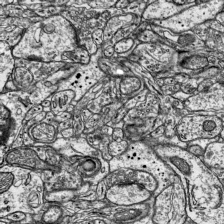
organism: Mouse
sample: Visual Cortex